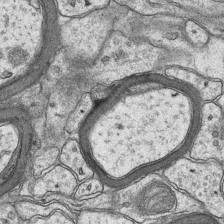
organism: Mouse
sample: CA1 Hippocampus